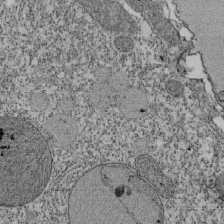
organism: Tetrahymena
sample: Cilia in tetrahymena